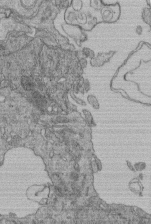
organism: Human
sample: Retinal organoid Rod and Cone cells